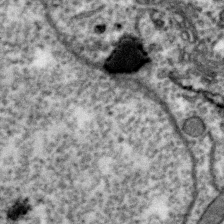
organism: Zebra finch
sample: Brain